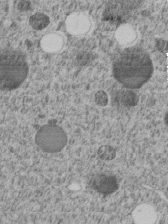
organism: C. elegans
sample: C. elegans embryo early stage